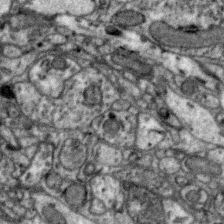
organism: Zebra finch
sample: Brain